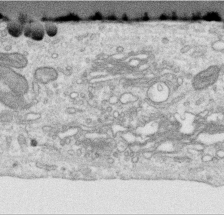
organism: Human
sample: Centriole in RPE cells